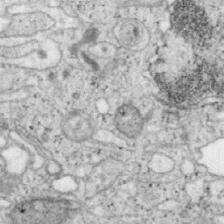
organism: Mouse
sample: OT-I killer T cells with ID8 ovarian cancer cells